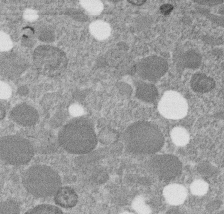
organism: C. elegans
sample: C. elegans embryo early stage